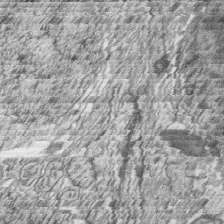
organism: Zebrafish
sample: synaptic ribbons in rod cells and cone cells